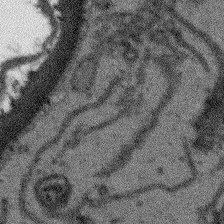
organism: Arabidopsis thaliana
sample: Root tip